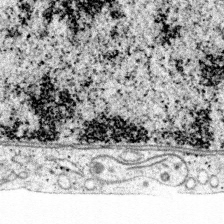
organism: Human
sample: HeLa cells